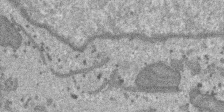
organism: Human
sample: Lung epithelial cells infected with SARS-CoV-2